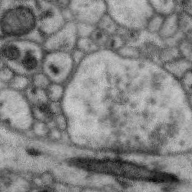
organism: Zebra finch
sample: Brain